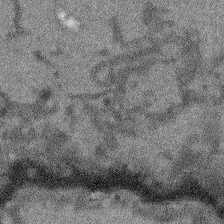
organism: Arabidopsis thaliana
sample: Root tip